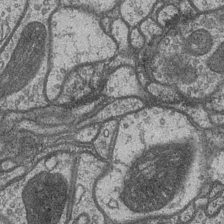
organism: Drosophila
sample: Optic medulla